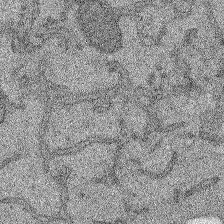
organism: Human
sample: HeLa cells